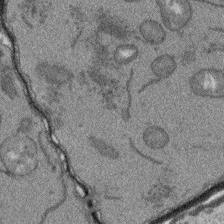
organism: Arabidopsis thaliana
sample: Root tip